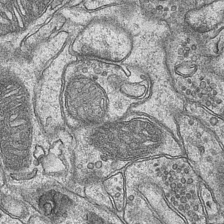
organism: Mouse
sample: CA1 Hippocampus